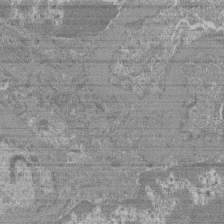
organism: Mouse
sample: Glomerulus